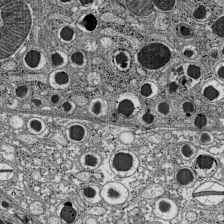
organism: C57BL Mouse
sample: Pancreatic islet